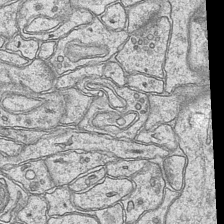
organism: Mouse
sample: CA1 Hippocampus